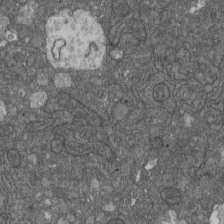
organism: Drosophila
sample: Nephrocyte